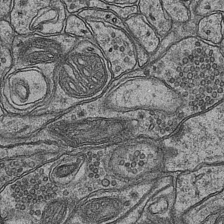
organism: Mouse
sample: CA1 Hippocampus